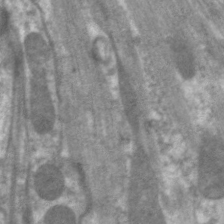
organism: C. elegans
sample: Pharynx